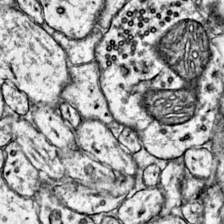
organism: Mouse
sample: Primary visual cortex